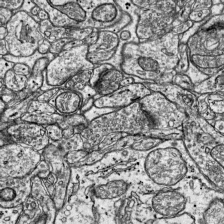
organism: Mouse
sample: Visual Cortex